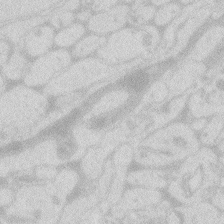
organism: Zebrafish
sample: Macrophage